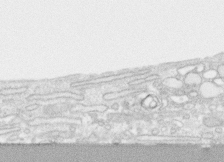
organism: Human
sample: CRL-1474